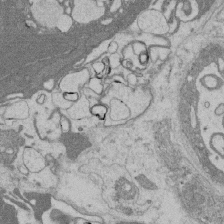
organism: Rat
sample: Salivary granule